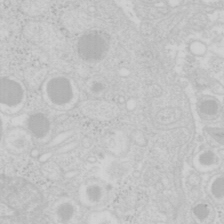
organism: Mouse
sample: Pancreas